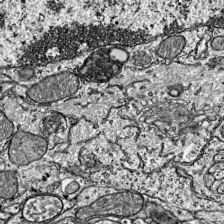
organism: Mouse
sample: Visual Cortex